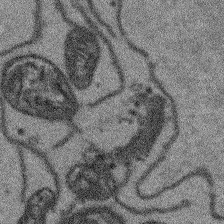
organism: Arabidopsis thaliana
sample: Root tip